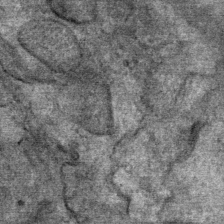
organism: Mouse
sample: Mouse Salivary gland